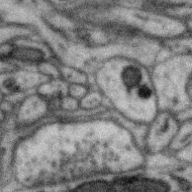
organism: Zebra finch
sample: Brain